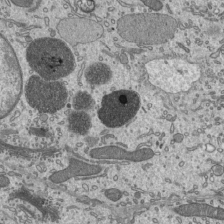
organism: Mouse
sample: Mouse epididymis efferent ductule cilia